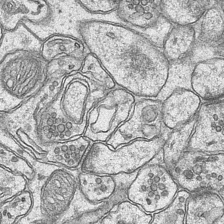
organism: Mouse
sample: CA1 Hippocampus